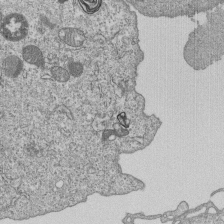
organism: Human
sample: MDA-MB-231 cells